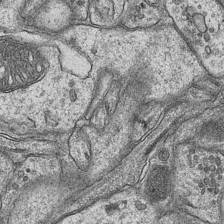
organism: Mouse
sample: CA1 Hippocampus